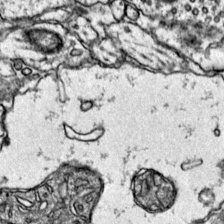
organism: Mouse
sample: Primary visual cortex